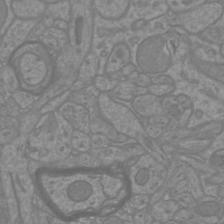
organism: Mouse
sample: Cortical neurons